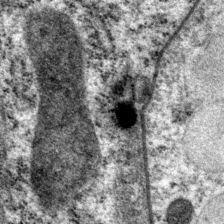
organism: P. pacificus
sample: Pharynx